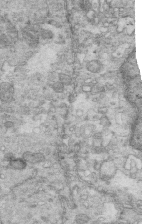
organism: Mouse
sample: Multiciliated cells